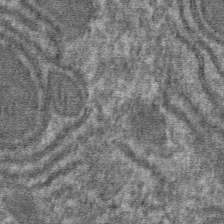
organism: Mouse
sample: Mouse hepatocytes